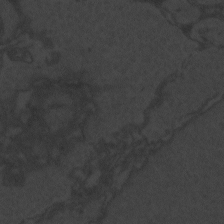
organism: Zebrafish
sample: Macrophage infected with Toxoplasma gondii